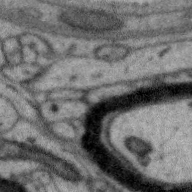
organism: Zebra finch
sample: Brain